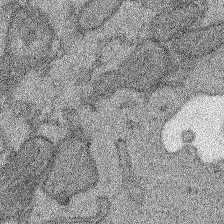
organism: Human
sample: HeLa cells